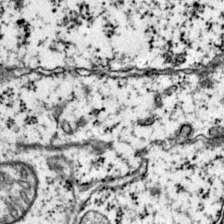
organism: Mouse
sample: Primary visual cortex